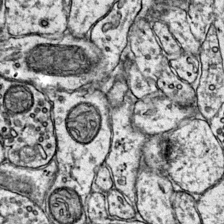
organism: Mouse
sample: Primary visual cortex